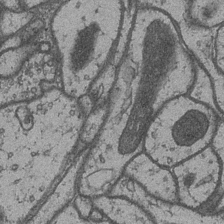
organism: Drosophila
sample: Optic medulla